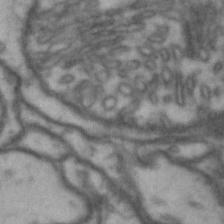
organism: Drosophila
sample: Brain